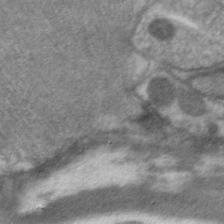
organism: C. elegans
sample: Pharynx